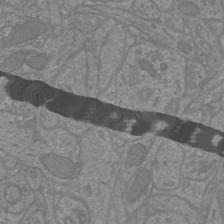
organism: Mouse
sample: Cortical neurons